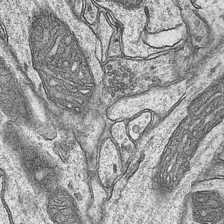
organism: Mouse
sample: CA1 Hippocampus